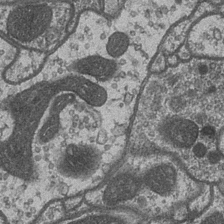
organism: Drosophila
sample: Optic medulla